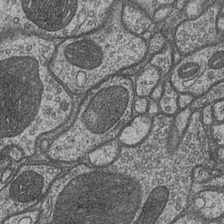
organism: Drosophila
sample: Optic medulla